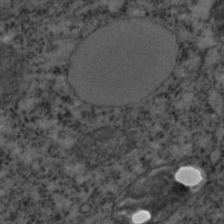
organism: C. elegans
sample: C. elegans embryo